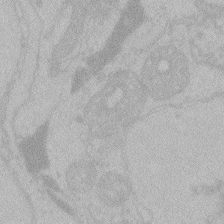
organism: Zebrafish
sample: Macrophage infected with Toxoplasma gondii